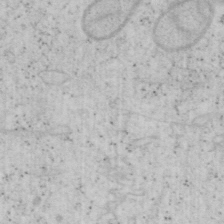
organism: Human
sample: HeLa cells